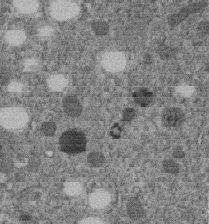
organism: C. elegans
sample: C. elegans embryo early stage